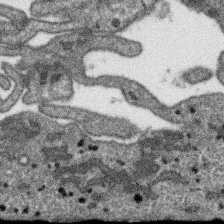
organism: Human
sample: Lung epithelial cells infected with SARS-CoV-2